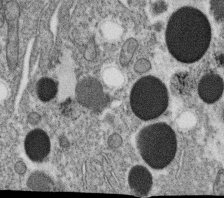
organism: C. elegans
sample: C. elegans oocyte; sperm cells